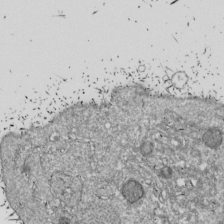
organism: Drosophila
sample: Cell division; meiosis; drosophila spermatocytes